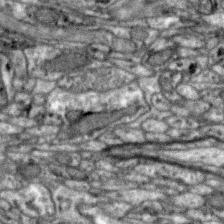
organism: Zebra finch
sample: Brain